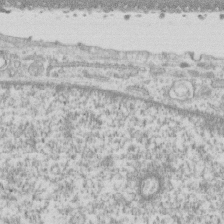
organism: Human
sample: CRL-1474